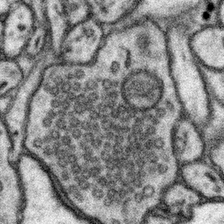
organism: Mouse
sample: Somatosensory cortex neuropil